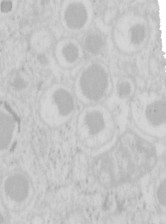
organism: Mouse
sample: Pancreas